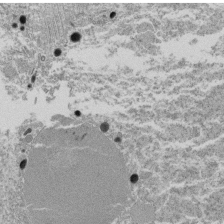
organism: Tetrahymena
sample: Cilia in tetrahymena